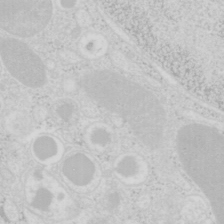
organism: Mouse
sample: Pancreas